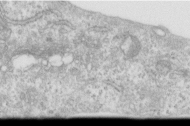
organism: Human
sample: Centriole in RPE cells